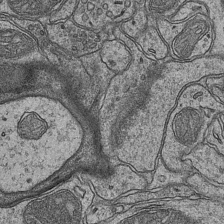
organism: Mouse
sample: CA1 Hippocampus